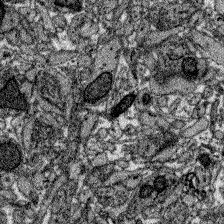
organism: Zebrafish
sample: Larval olfactory bulb